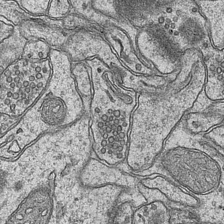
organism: Mouse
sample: CA1 Hippocampus